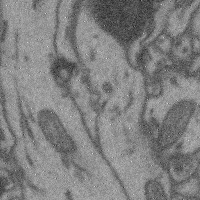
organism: Mouse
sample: Cerebral cortex